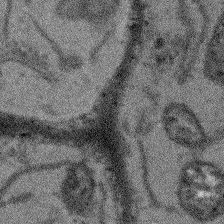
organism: Arabidopsis thaliana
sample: Root tip